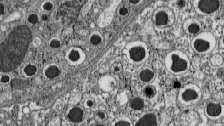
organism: C57BL Mouse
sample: Pancreatic islet